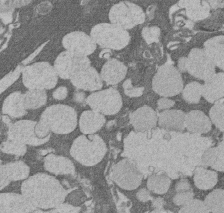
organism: Rat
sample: Salivary granule